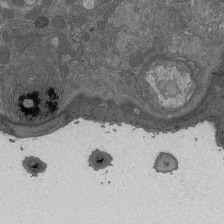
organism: Drosophila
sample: Antenna